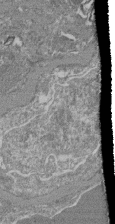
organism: Mouse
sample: Glomerulus